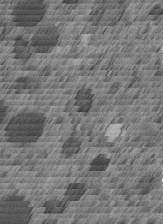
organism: C. elegans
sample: C. elegans embryo early stage